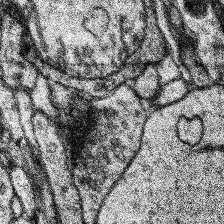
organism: Human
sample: Temporal Lobe